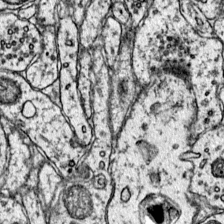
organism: Mouse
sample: Primary visual cortex